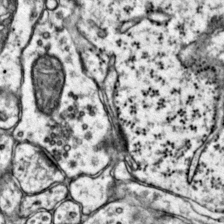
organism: Mouse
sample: Primary visual cortex